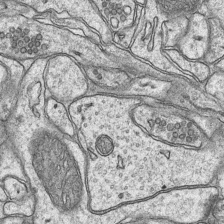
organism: Mouse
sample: CA1 Hippocampus